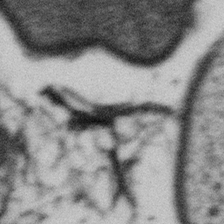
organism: Gemmata obscuriglobus